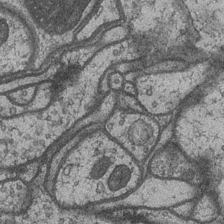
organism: Drosophila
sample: Optic medulla